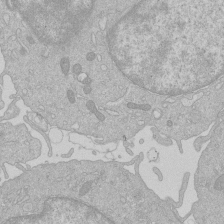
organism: Human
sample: Macrophage cells